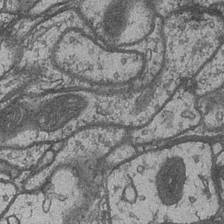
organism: Drosophila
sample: Optic medulla